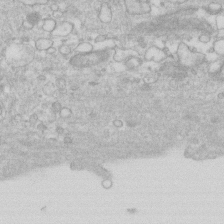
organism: Human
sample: Fibroblast cells